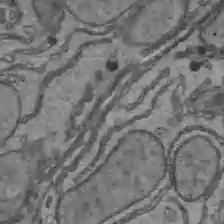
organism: C57BL Mouse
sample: Liver